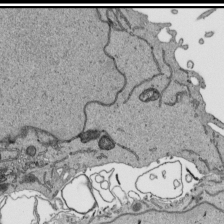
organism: Human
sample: Mitochondria in HCT116 cells